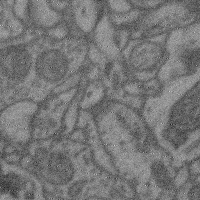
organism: Mouse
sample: Cerebral cortex